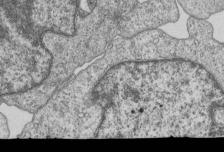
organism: Human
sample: MDA-MB-231 cells